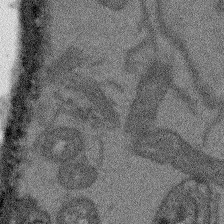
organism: Arabidopsis thaliana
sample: Root tip